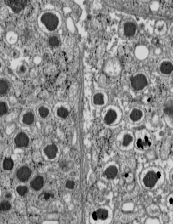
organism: C57BL Mouse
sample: Pancreatic islet